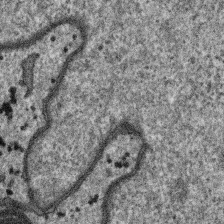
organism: Human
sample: Lung epithelial cells infected with SARS-CoV-2